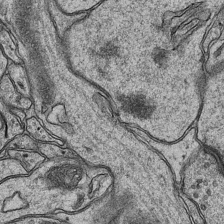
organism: Mouse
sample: CA1 Hippocampus